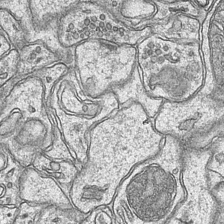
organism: Mouse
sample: CA1 Hippocampus